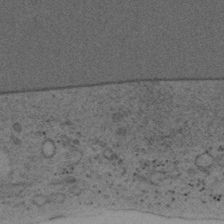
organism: Human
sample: HeLa cells